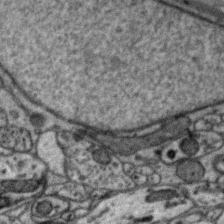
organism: Zebra finch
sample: Brain